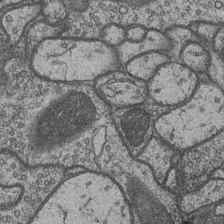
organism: Drosophila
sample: Optic medulla